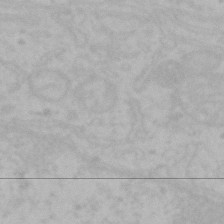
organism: Mouse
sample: Choroid plexus